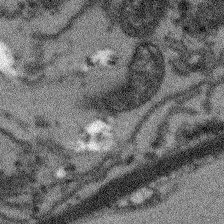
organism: Arabidopsis thaliana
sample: Root tip